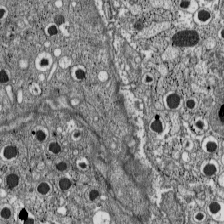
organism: C57BL Mouse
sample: Pancreatic islet